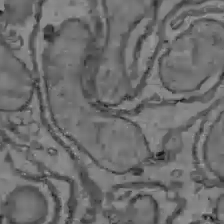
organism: C57BL Mouse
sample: Liver